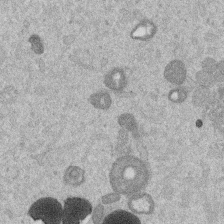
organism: Mouse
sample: Dividing mouse embryo 1 cell stage